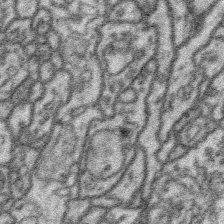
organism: Platynereis dumerilii